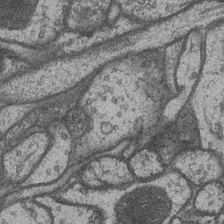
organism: Drosophila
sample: Optic medulla